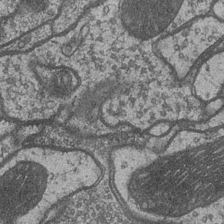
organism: Drosophila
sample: Optic medulla